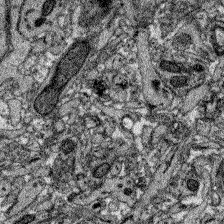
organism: Zebrafish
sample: Larval olfactory bulb